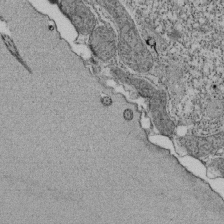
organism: Tetrahymena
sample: Cilia in tetrahymena